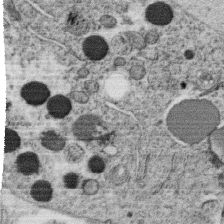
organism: C. elegans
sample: C. elegans oocyte; sperm cells